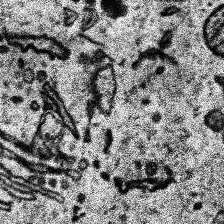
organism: Human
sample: Temporal Lobe